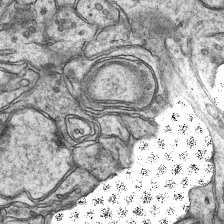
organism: Mouse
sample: CA1 Hippocampus